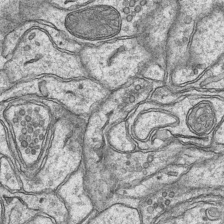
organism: Mouse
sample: CA1 Hippocampus